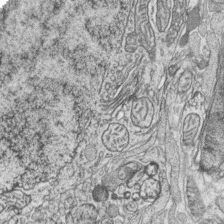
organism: Zebrafish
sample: synaptic ribbons in rod cells and cone cells